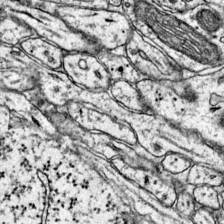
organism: Mouse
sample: Primary visual cortex